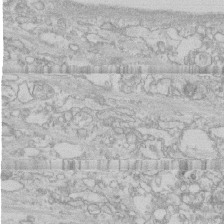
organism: Human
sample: CRL-1474